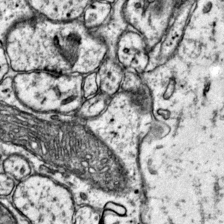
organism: Mouse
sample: Primary visual cortex